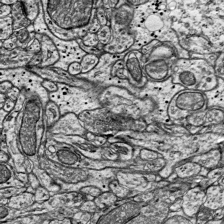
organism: Mouse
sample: Visual Cortex